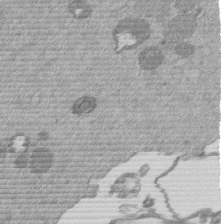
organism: Mouse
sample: Dividing mouse embryo 1 cell stage